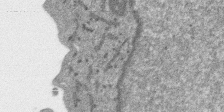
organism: Human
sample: Lung epithelial cells infected with SARS-CoV-2